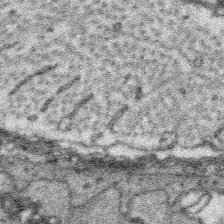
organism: Platynereis dumerilii